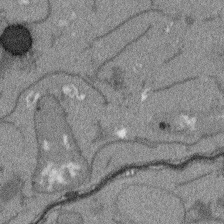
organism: Arabidopsis thaliana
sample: Root tip